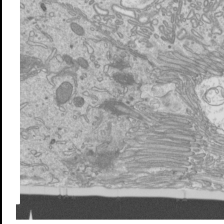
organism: Mouse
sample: Cilia; mouse epididymis